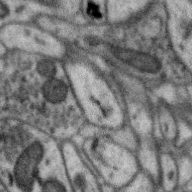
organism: Zebra finch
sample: Brain